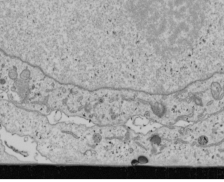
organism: Human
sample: Mitochondria in U2OS cells